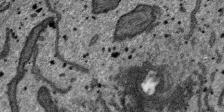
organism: Human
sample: Lung epithelial cells, uninfected (mock) control